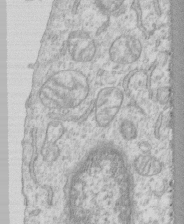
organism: Human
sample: CRL-1474